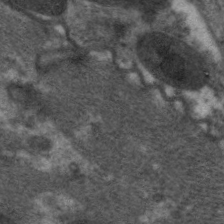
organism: C. elegans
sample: Pharynx